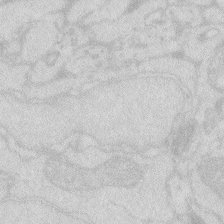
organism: Zebrafish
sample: Macrophage